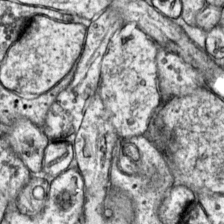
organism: Mouse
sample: Primary visual cortex